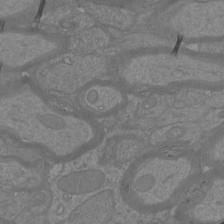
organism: Mouse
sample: Cortical neurons